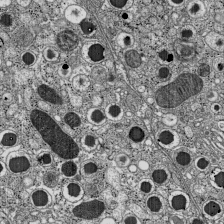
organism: C57BL Mouse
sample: Pancreatic islet